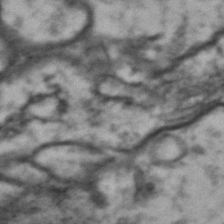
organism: Drosophila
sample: Brain